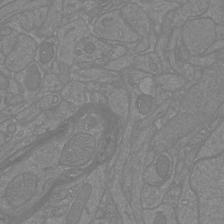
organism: Mouse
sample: Cortical neurons